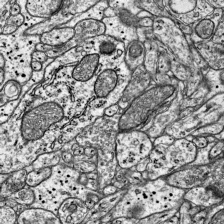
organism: Mouse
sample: Visual Cortex